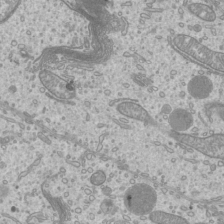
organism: Mouse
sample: Cilia; mouse epididymis